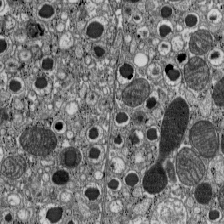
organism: C57BL Mouse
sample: Pancreatic islet